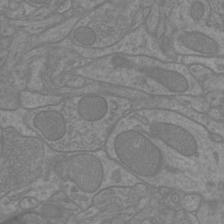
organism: Mouse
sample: Cortical neurons